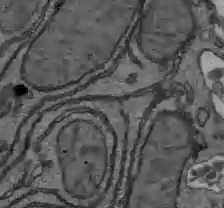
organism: C57BL Mouse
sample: Liver